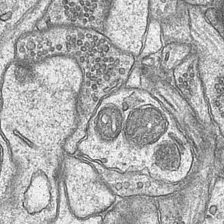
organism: Mouse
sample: CA1 Hippocampus